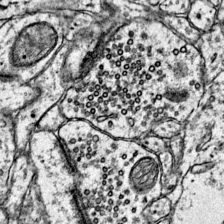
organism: Mouse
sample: Primary visual cortex